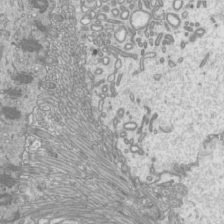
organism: Mouse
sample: Cilia; mouse epididymis